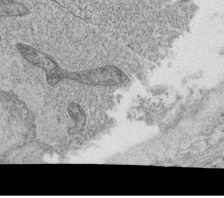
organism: C. elegans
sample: C. elegans oocyte; sperm cells